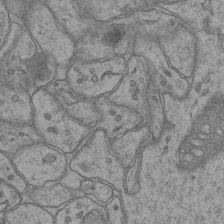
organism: Mouse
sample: CA1 Hippocampus